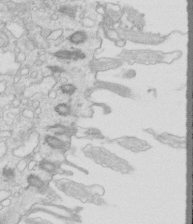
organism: Mouse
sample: Multiciliated cells